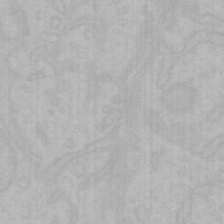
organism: Mouse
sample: Choroid plexus